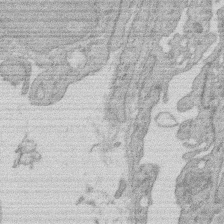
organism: Rat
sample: Salivary granule